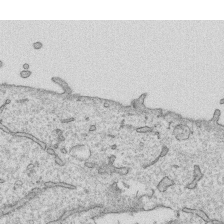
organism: Human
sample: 1205lu cells